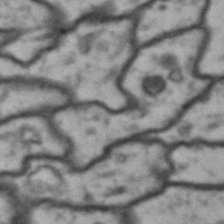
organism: Drosophila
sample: Brain